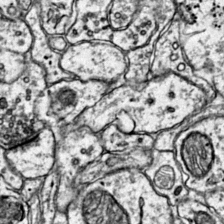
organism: Mouse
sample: Primary visual cortex